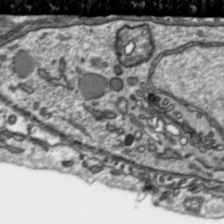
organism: Toxoplasma gondii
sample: Parasites in a vacuole inside a host cell